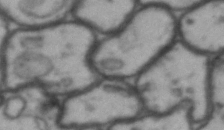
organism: Drosophila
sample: Brain